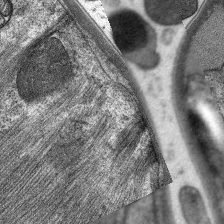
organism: C. elegans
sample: Pharynx